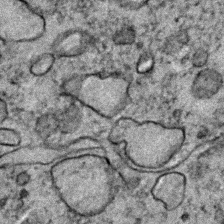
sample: Trachea